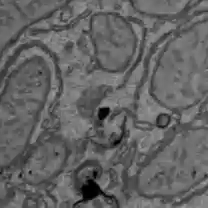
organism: C57BL Mouse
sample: Liver